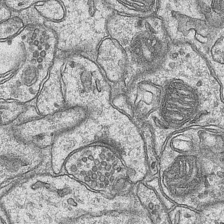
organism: Mouse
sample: CA1 Hippocampus